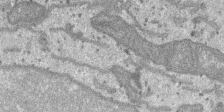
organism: Human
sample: Lung epithelial cells infected with SARS-CoV-2